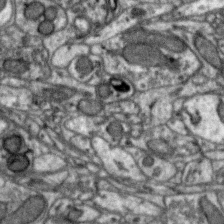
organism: Zebra finch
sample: Brain